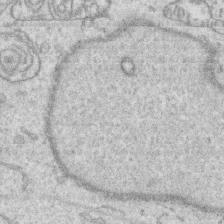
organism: Human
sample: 1205lu cells